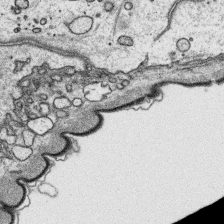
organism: Platynereis dumerilii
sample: Parapodia